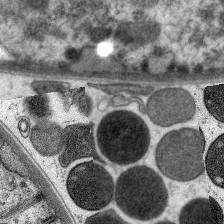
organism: C. elegans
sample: Pharynx